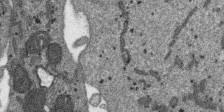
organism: Human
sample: Lung epithelial cells infected with SARS-CoV-2